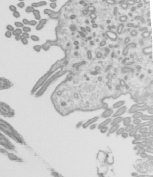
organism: Mouse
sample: Mouse epididymis efferent ductule cilia